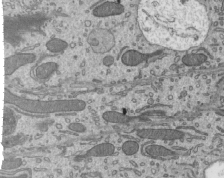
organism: Mouse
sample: Mouse epididymis efferent ductule cilia